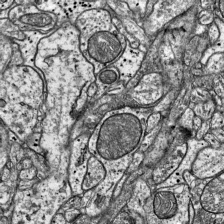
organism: Mouse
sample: Visual Cortex